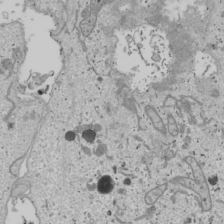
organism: Human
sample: Mitochondria in U2OS cells